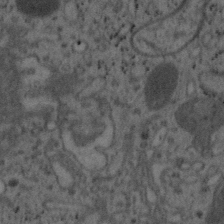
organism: Human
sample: HeLa cells